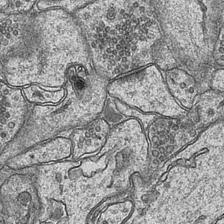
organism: Mouse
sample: CA1 Hippocampus